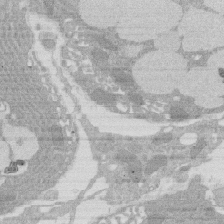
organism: Rat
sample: Salivary granule